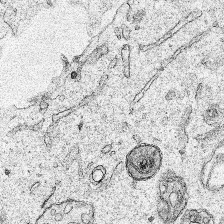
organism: Human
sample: Mitochondria in HCT116 cells